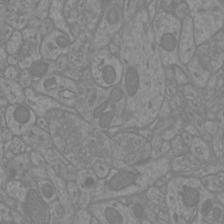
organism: Mouse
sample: Cortical neurons